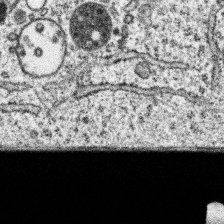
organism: Human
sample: HeLa cells